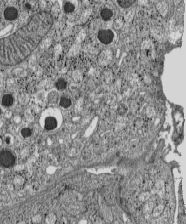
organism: C57BL Mouse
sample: Pancreatic islet